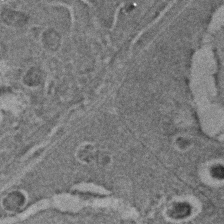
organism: C. elegans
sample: C. elegans embryo